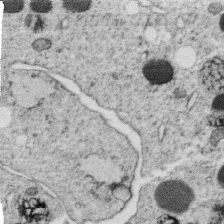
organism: C. elegans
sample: C. elegans oocyte; sperm cells